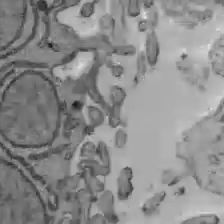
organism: C57BL Mouse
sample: Liver